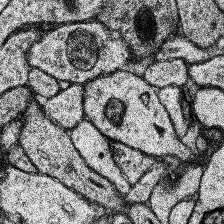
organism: Human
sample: Temporal Lobe